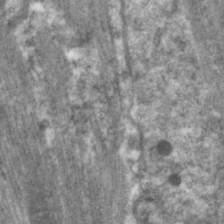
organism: C. elegans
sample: Pharynx